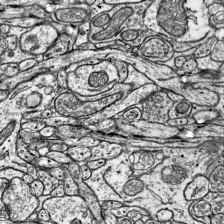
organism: Mouse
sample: Visual Cortex